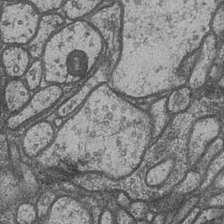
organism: Drosophila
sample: Optic medulla